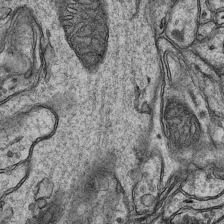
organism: Mouse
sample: CA1 Hippocampus